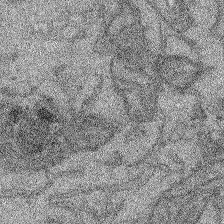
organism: Human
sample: HeLa cells